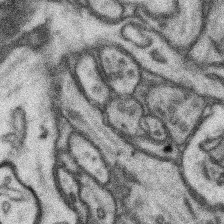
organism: Mouse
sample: Somatosensory cortex neuropil